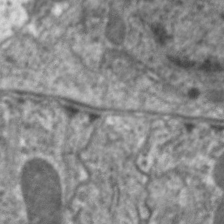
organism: C. elegans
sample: Pharynx